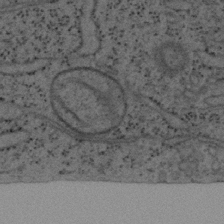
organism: Human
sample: HeLa cells